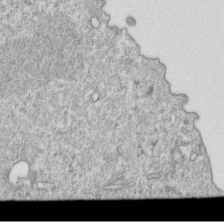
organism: Mouse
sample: Activated OT-1 CD8+ T cells